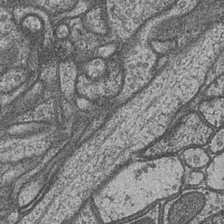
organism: Drosophila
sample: Optic medulla